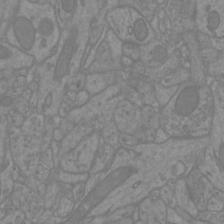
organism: Mouse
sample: Cortical neurons